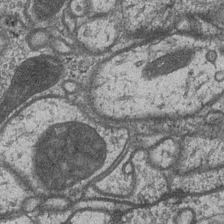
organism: Drosophila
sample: Optic medulla